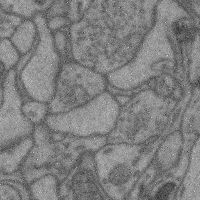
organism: Mouse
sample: Cerebral cortex